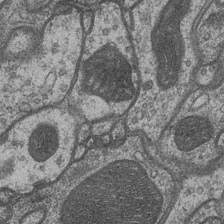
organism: Drosophila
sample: Optic medulla